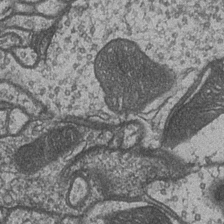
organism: Drosophila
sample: Optic medulla